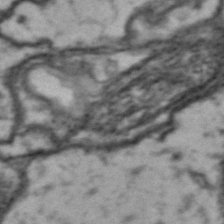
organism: Drosophila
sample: Brain